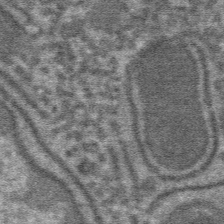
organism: Mouse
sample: Mouse hepatocytes